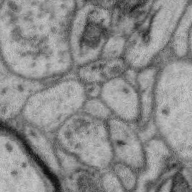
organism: Zebra finch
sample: Brain